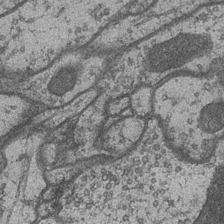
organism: Drosophila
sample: Optic medulla